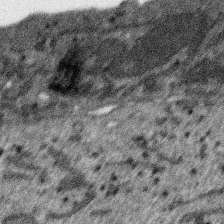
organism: Human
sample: Lung epithelial cells infected with SARS-CoV-2